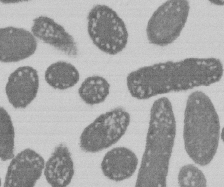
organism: E. coli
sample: Bacterial nucleoid